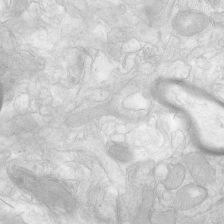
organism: Human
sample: Neocortex